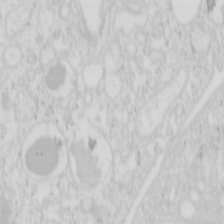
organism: Mouse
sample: Pancreas